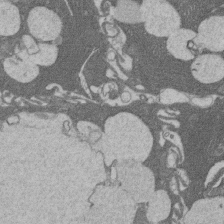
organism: Rat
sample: Salivary granule